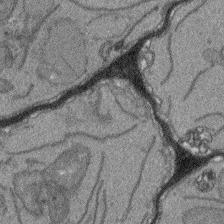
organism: Arabidopsis thaliana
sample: Root tip